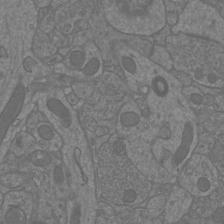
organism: Mouse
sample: Cortical neurons